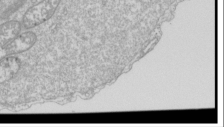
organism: Drosophila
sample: Cell division; meiosis; drosophila spermatocytes